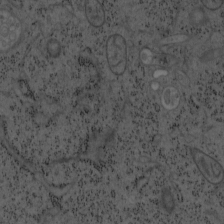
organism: Mouse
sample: OT-I killer T cells with ID8 ovarian cancer cells